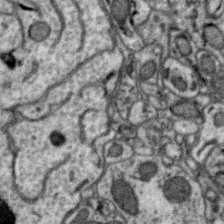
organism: Zebra finch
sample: Brain